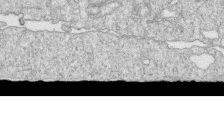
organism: Human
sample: HeLa cell HIV synapse